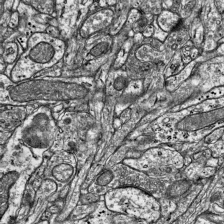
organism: Mouse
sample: Visual Cortex